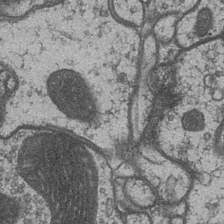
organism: Drosophila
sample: Optic medulla